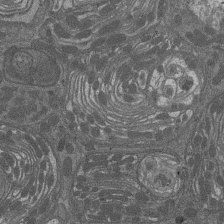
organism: Drosophila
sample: Antenna